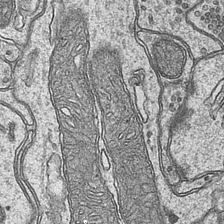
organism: Mouse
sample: CA1 Hippocampus